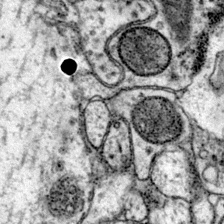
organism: Mouse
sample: Primary visual cortex